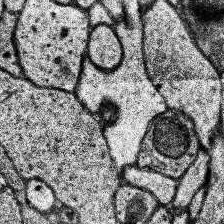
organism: Human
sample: Temporal Lobe